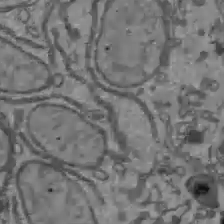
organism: C57BL Mouse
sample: Liver